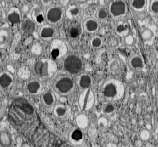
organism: C57BL Mouse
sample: Pancreatic islet